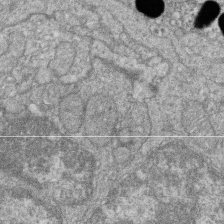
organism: Zebrafish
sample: Cilia; retinal pigment epithelium